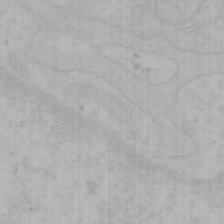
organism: Mouse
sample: Choroid plexus